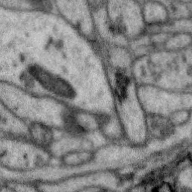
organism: Zebra finch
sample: Brain